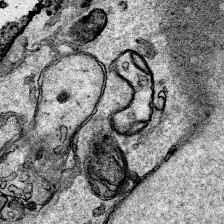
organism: Human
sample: Mitochondria in HCT116 cells